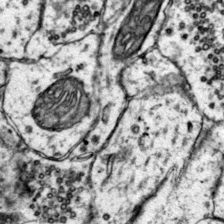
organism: Mouse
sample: Primary visual cortex